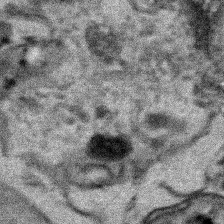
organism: Human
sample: Mitochondria in HCT116 cells